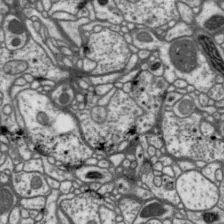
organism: Drosophila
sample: Protocerebral bridge